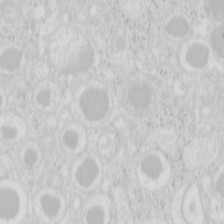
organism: Mouse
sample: Pancreas